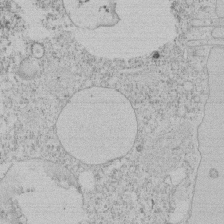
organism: Tetrahymena